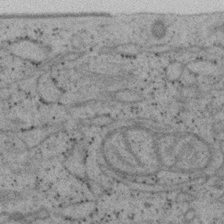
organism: Human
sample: HeLa cells